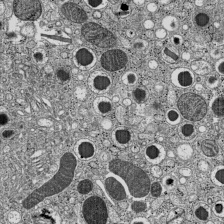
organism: C57BL Mouse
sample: Pancreatic islet